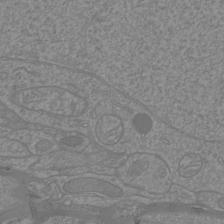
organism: Mouse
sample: Cortical neurons